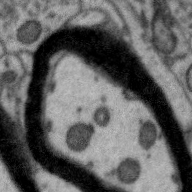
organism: Zebra finch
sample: Brain